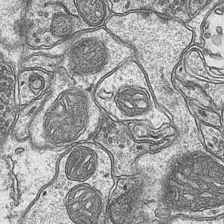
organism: Mouse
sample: CA1 Hippocampus